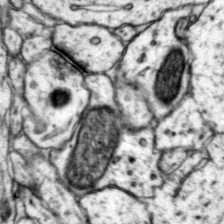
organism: Mouse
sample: Primary visual cortex